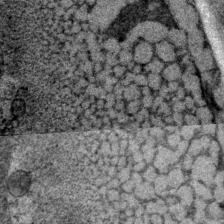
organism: P. pacificus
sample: Pharynx